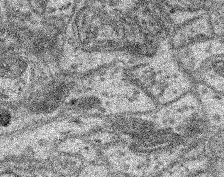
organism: Mouse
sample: Retina